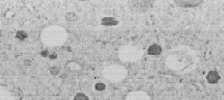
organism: C. elegans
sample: C. elegans embryo early stage